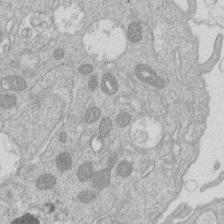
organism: Human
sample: Macrophage cells